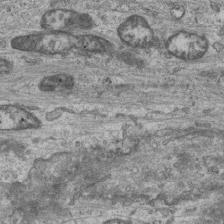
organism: Mouse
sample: Centriole in ependymal cells